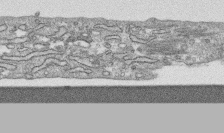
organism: Human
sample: CRL-1474